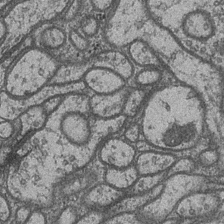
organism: Drosophila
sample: Optic medulla